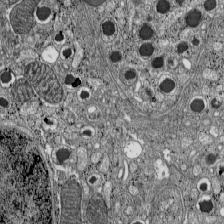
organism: C57BL Mouse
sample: Pancreatic islet